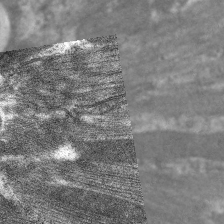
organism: C. elegans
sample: Pharynx